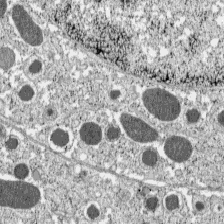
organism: C57BL Mouse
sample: Pancreatic islet